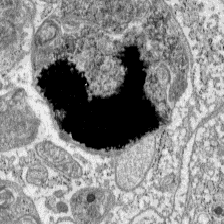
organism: C57BL Mouse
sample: Pancreatic islet